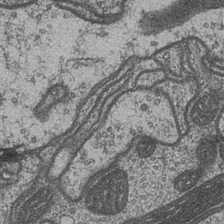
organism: Drosophila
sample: Optic medulla